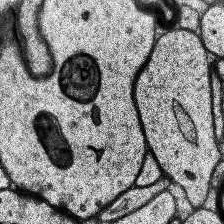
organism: Human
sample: Temporal Lobe